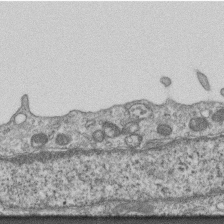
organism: Mouse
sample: Centriole in ependymal cells